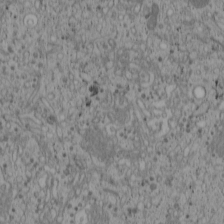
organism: African green monkey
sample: COS-7 cells